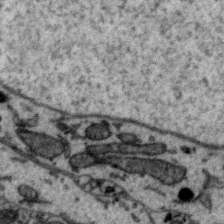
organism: Zebra finch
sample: Brain